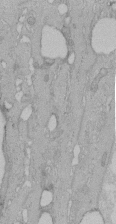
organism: Human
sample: Melanocyte Keratinocyte synapse skin construct